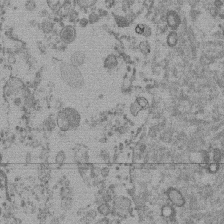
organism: Mouse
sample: Dividing mouse embryo 1 cell stage